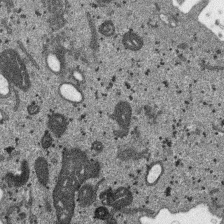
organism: Human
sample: Lung epithelial cells infected with SARS-CoV-2